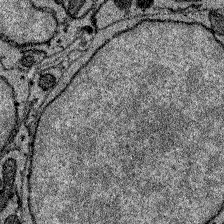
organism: Zebrafish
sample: Larval olfactory bulb